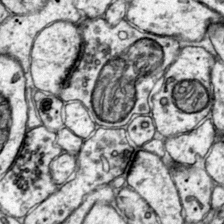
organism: Mouse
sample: Primary visual cortex